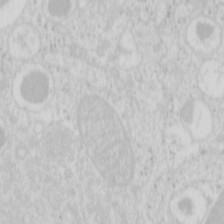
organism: Mouse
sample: Pancreas